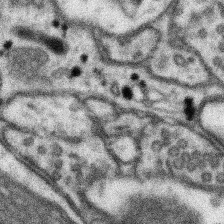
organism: Mouse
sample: Somatosensory cortex neuropil